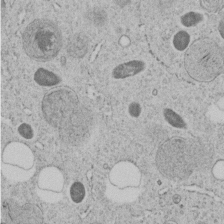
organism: C. elegans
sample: C. elegans embryo early stage